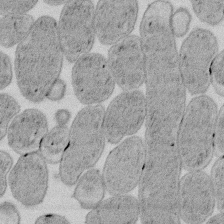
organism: E. coli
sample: Bacterial nucleoid